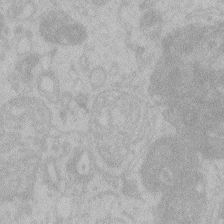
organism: Zebrafish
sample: Macrophage infected with Toxoplasma gondii